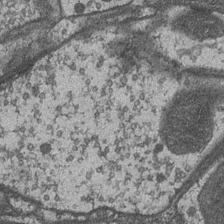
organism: Drosophila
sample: Optic medulla